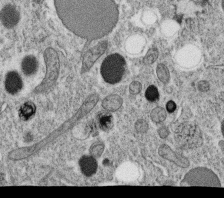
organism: C. elegans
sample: C. elegans oocyte; sperm cells